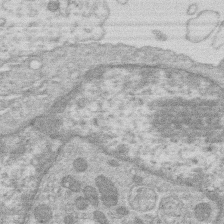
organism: Human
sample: Macrophage cells